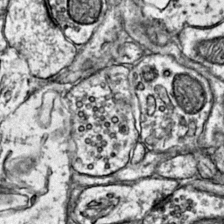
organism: Mouse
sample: Primary visual cortex